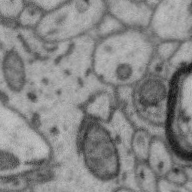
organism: Zebra finch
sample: Brain